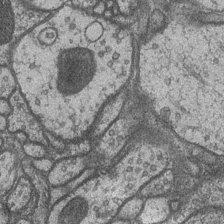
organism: Drosophila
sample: Optic medulla